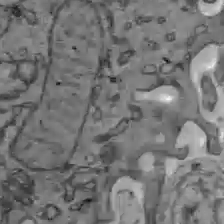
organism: C57BL Mouse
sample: Liver